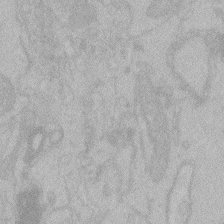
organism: Zebrafish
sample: Macrophage infected with Toxoplasma gondii